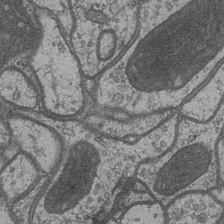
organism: Drosophila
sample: Optic medulla